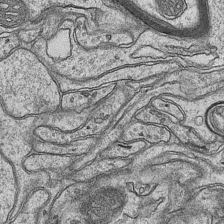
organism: Mouse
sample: CA1 Hippocampus